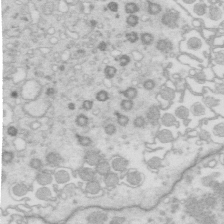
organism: Mouse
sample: Multiciliated cells